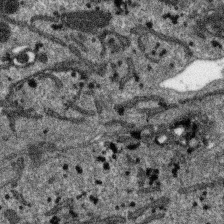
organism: Human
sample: Lung epithelial cells infected with SARS-CoV-2